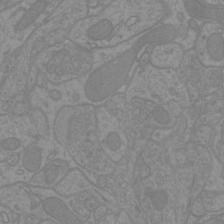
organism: Mouse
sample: Cortical neurons